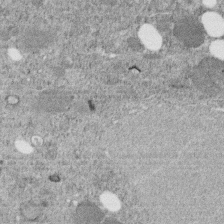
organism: C. elegans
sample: C. elegans embryo early stage